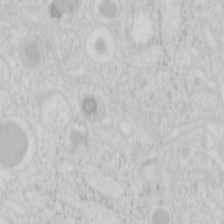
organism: Mouse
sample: Pancreas